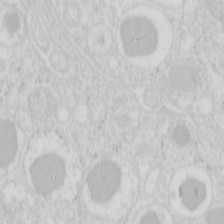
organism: Mouse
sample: Pancreas